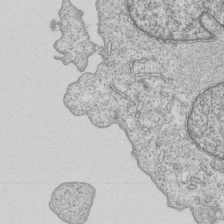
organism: Human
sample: MDA-MB-231 cells